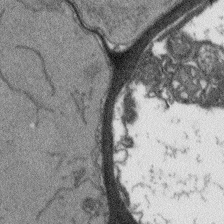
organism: Arabidopsis thaliana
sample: Root tip